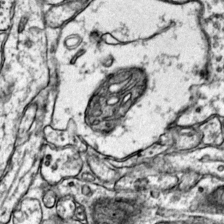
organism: Mouse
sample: Primary visual cortex